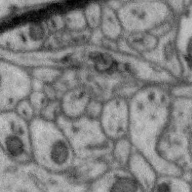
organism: Zebra finch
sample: Brain